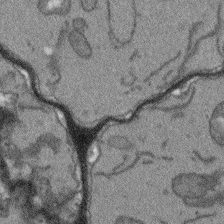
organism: Arabidopsis thaliana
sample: Root tip